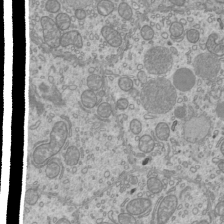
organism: Mouse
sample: Cilia; mouse epididymis